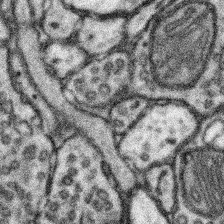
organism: Mouse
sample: Somatosensory cortex neuropil